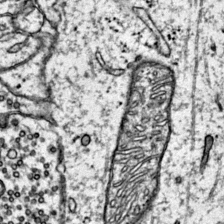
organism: Mouse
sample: Primary visual cortex